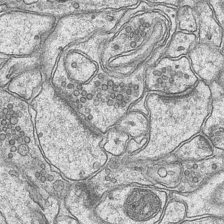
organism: Mouse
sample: CA1 Hippocampus